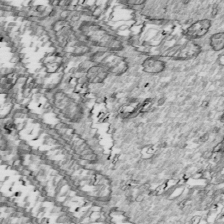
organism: Drosophila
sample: Cell division; meiosis; drosophila spermatocytes